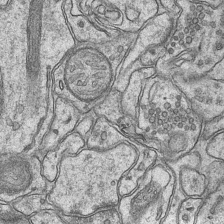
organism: Mouse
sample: CA1 Hippocampus